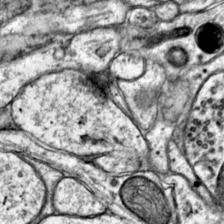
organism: Mouse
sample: Primary visual cortex